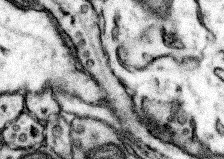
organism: Mouse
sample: Somatosensory cortex neuropil